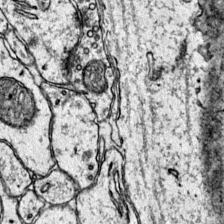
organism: Mouse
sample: Primary visual cortex